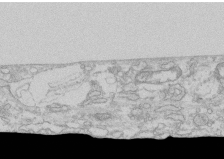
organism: Human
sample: CRL-1474